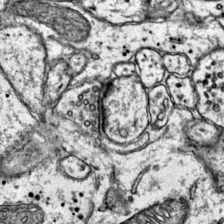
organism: Mouse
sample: Primary visual cortex